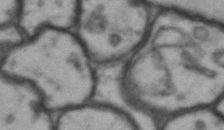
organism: Drosophila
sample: Brain